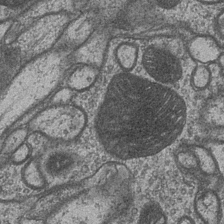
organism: Drosophila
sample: Optic medulla